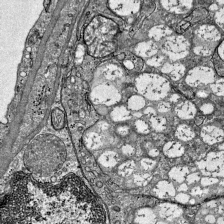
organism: Mouse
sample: Visual Cortex